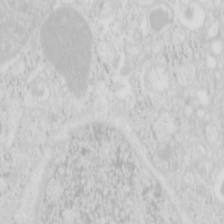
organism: Mouse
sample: Pancreas